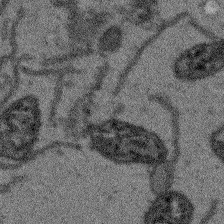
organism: Arabidopsis thaliana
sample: Root tip